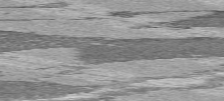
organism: C57BL Mouse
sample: Heart